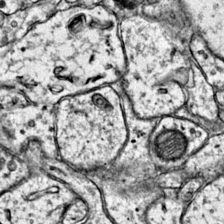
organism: Mouse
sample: Primary visual cortex